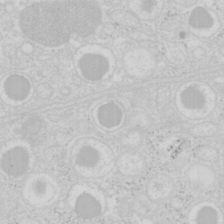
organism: Mouse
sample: Pancreas